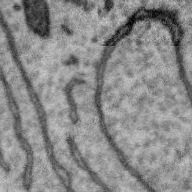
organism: Zebra finch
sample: Brain